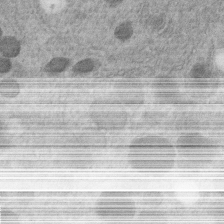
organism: C. elegans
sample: C. elegans embryo early stage